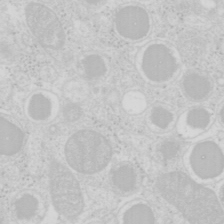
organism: Mouse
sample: Pancreas